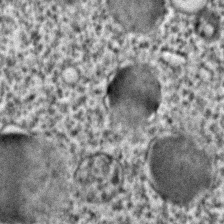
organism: C. elegans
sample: C. elegans embryo